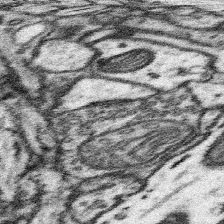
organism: Mouse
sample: Somatosensory cortex neuropil